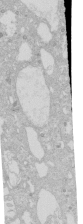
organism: Human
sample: Caco-2 cells